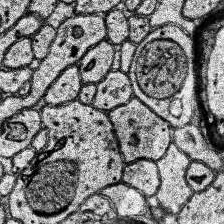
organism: Human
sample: Temporal Lobe